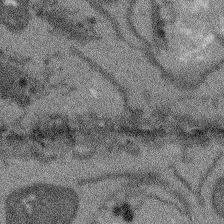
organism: Arabidopsis thaliana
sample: Root tip